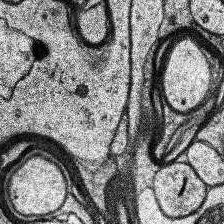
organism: Human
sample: Temporal Lobe